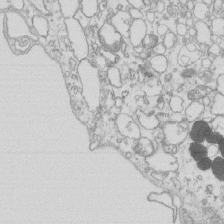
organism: Mouse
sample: Macrophages